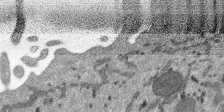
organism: Human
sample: Lung epithelial cells infected with SARS-CoV-2